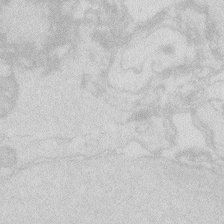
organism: Zebrafish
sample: Macrophage